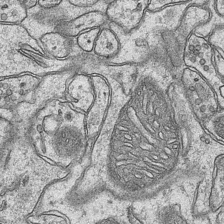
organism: Mouse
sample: CA1 Hippocampus